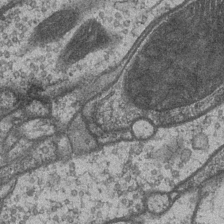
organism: Drosophila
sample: Optic medulla